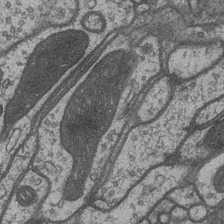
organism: Drosophila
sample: Optic medulla